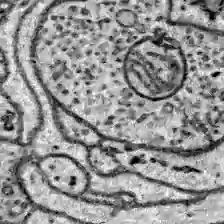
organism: Zebrafish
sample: Brain